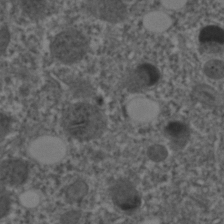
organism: C. elegans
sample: C. elegans embryo